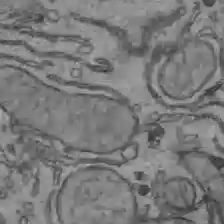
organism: C57BL Mouse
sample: Liver